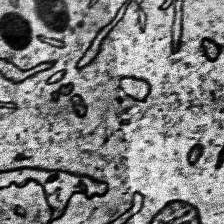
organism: Human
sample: Temporal Lobe